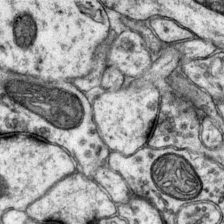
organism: Mouse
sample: Primary visual cortex